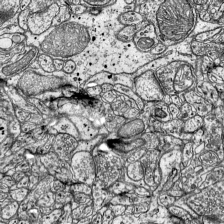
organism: Mouse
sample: Visual Cortex